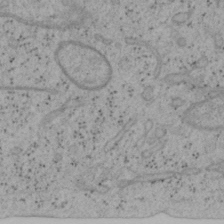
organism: Human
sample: HeLa cells